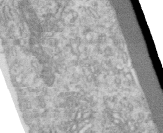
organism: Human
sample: Centriole in RPE cells